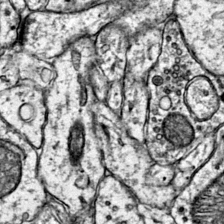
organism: Mouse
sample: Primary visual cortex